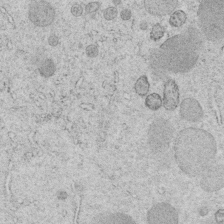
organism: C. elegans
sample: C. elegans embryo early stage